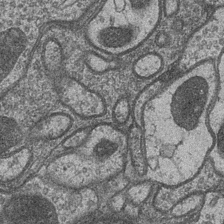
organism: Drosophila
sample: Optic medulla